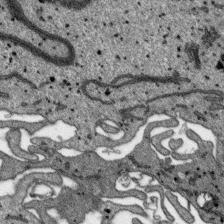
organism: Human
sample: Lung epithelial cells, uninfected (mock) control